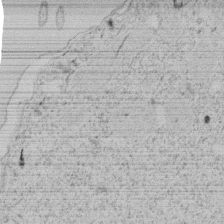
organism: Tetrahymena